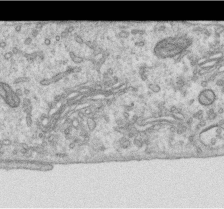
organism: Human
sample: Centriole in RPE cells